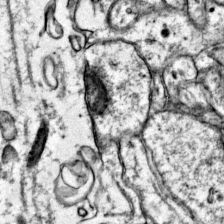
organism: Mouse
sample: Primary visual cortex